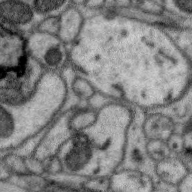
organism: Zebra finch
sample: Brain